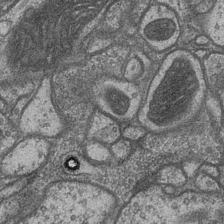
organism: Drosophila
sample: Optic medulla